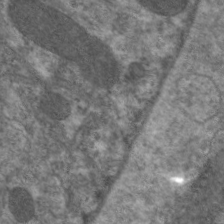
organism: C. elegans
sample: Pharynx